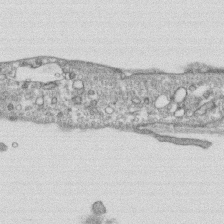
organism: Human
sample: CRL-1474